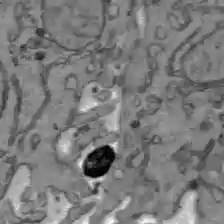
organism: C57BL Mouse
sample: Liver